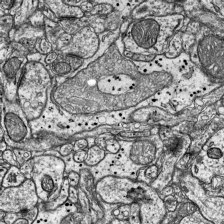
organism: Mouse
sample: Visual Cortex